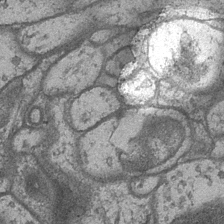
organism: Drosophila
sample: Optic medulla